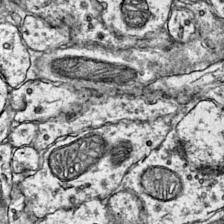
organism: Mouse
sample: Primary visual cortex